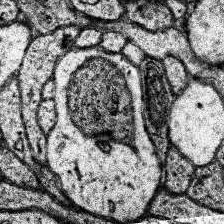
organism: Human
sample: Temporal Lobe